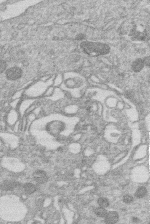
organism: Human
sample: Macrophage cells